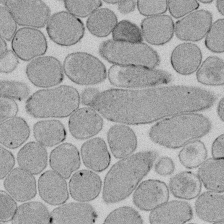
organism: E. coli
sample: Bacterial nucleoid